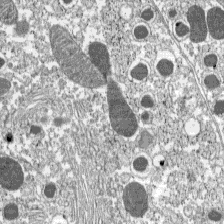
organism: C57BL Mouse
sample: Pancreatic islet